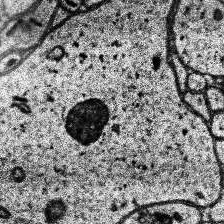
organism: Human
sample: Temporal Lobe